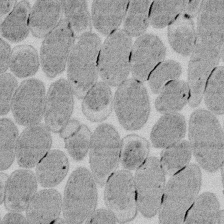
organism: E. coli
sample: Bacterial nucleoid